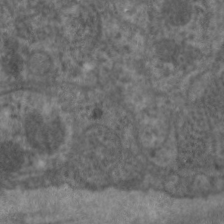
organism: C. elegans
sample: Pharynx